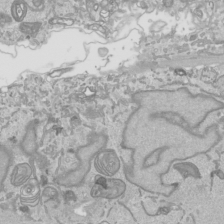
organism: Human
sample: Mitochondria in HCT116 cells